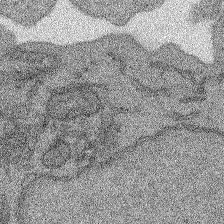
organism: Human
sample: HeLa cells